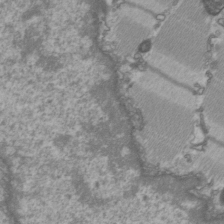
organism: C57BL Mouse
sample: Heart